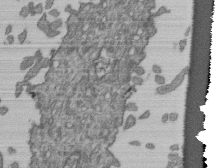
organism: Human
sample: Retinal organoid Rod and Cone cells